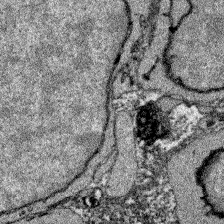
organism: Zebrafish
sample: Larval olfactory bulb